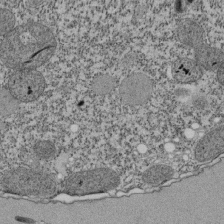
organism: Tetrahymena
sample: Cilia in tetrahymena